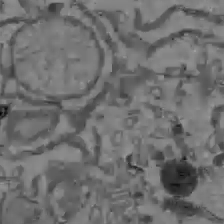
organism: C57BL Mouse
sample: Liver